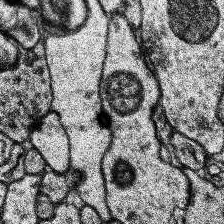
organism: Human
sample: Temporal Lobe